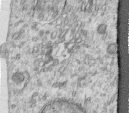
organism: Human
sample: Centriole in RPE cells